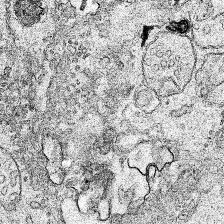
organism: Human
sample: Mitochondria in HCT116 cells